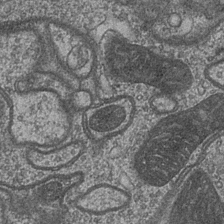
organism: Drosophila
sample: Optic medulla